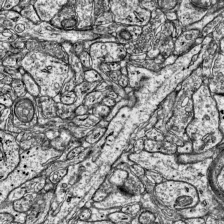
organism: Mouse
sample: Visual Cortex